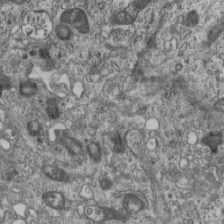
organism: Mouse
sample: Centriole in ependymal cells